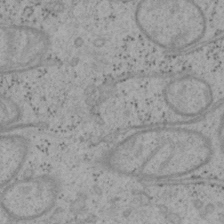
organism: Human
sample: HeLa cells